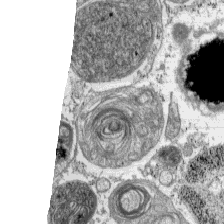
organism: C57BL Mouse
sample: Pancreatic islet